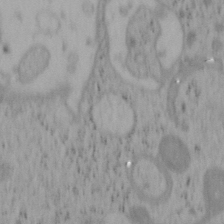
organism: Mouse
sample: OT-I killer T cells with ID8 ovarian cancer cells